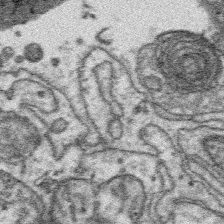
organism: Platynereis dumerilii